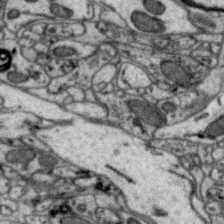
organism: Zebra finch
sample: Brain